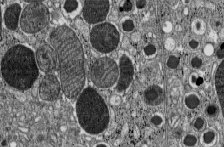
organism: C57BL Mouse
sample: Pancreatic islet